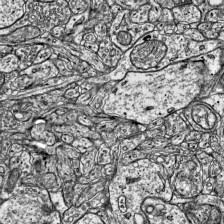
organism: Mouse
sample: Visual Cortex